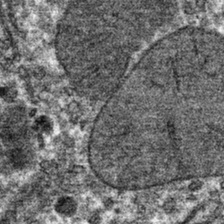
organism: Mouse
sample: Mouse hepatocytes